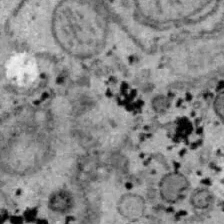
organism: Mouse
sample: Liver from an obese (ob/ob) mouse